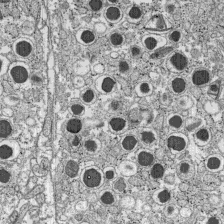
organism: C57BL Mouse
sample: Pancreatic islet